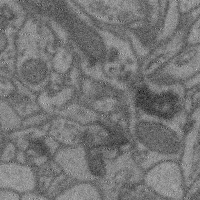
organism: Mouse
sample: Cerebral cortex